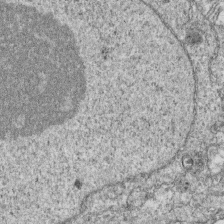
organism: Human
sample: HeLa cell HIV synapse